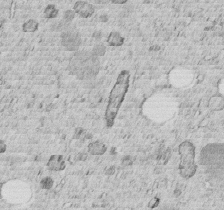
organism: C. elegans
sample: C. elegans embryo early stage